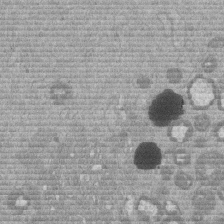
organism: Mouse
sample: Dividing mouse embryo 1 cell stage